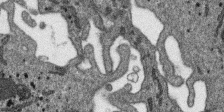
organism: Human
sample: Lung epithelial cells infected with SARS-CoV-2